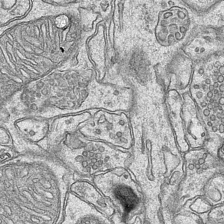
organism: Mouse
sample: CA1 Hippocampus